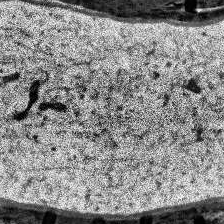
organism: Human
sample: Temporal Lobe